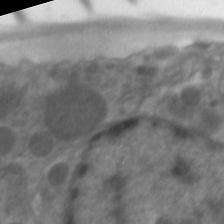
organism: C. elegans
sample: Pharynx